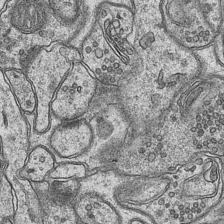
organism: Mouse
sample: CA1 Hippocampus